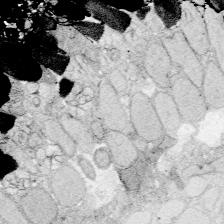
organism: Zebrafish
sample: Whole-Brain